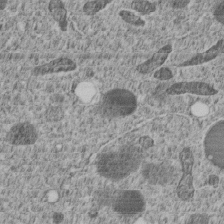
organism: C. elegans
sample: C. elegans embryo early stage